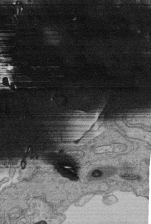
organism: Human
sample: Retinal organoid Rod and Cone cells